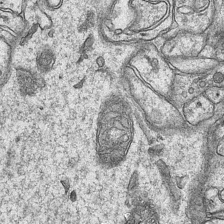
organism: Mouse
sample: CA1 Hippocampus